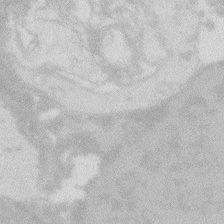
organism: Zebrafish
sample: Macrophage